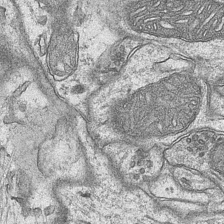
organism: Mouse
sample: CA1 Hippocampus